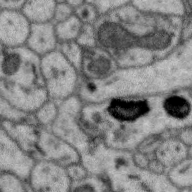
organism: Zebra finch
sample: Brain